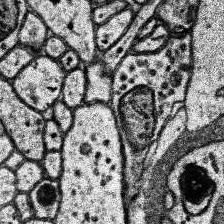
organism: Human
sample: Temporal Lobe